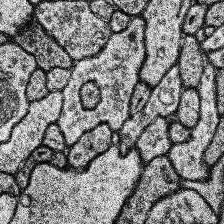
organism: Human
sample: Temporal Lobe